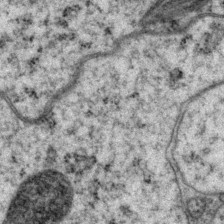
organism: P. pacificus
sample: Pharynx